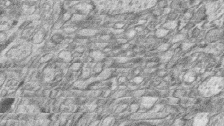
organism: Zebrafish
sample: synaptic ribbons in rod cells and cone cells